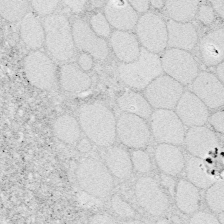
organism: Zebrafish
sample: Whole-Brain